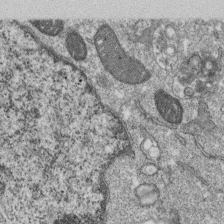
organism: African green monkey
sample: Vero E6 cells infected with SARS-CoV-2